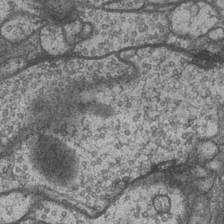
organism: Drosophila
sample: Optic medulla